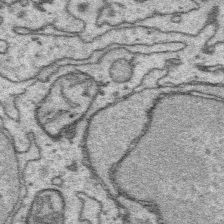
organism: Platynereis dumerilii